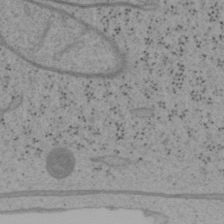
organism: Human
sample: HeLa cells